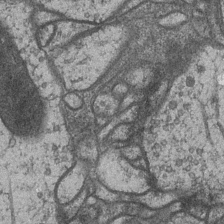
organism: Drosophila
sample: Optic medulla